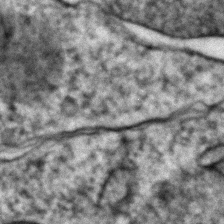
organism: Zebrafish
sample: Zebrafish embryo